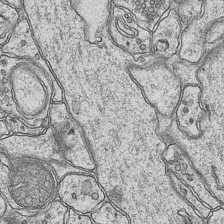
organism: Mouse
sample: CA1 Hippocampus